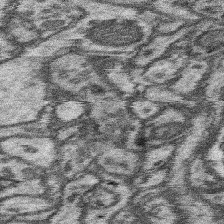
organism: Mouse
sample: Somatosensory cortex neuropil